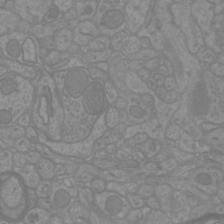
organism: Mouse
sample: Cortical neurons